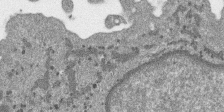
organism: Human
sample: Lung epithelial cells infected with SARS-CoV-2